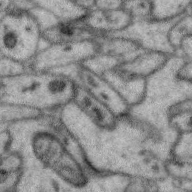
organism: Zebra finch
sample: Brain